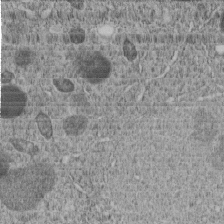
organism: C. elegans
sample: C. elegans embryo early stage